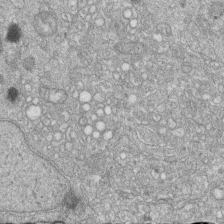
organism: Human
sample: HeLa cell HIV synapse